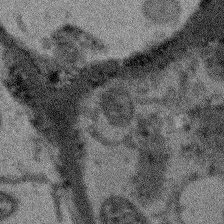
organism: Arabidopsis thaliana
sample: Root tip